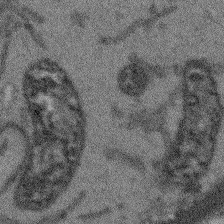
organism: Arabidopsis thaliana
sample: Root tip